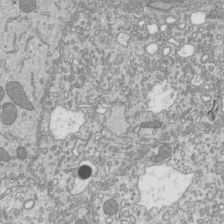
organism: Mouse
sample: Cilia; mouse epididymis